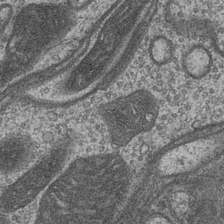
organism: Drosophila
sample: Optic medulla